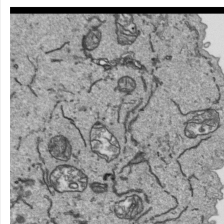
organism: Human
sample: Mitochondria in HCT116 cells